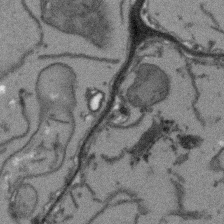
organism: Arabidopsis thaliana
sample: Root tip